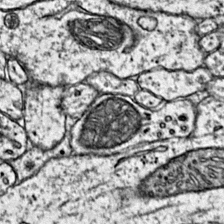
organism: Mouse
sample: Primary visual cortex